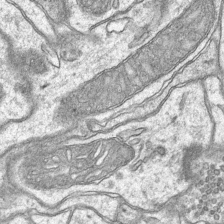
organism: Mouse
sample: CA1 Hippocampus